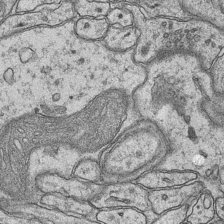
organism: Mouse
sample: CA1 Hippocampus